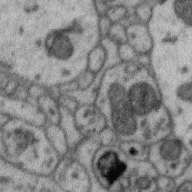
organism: Zebra finch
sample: Brain